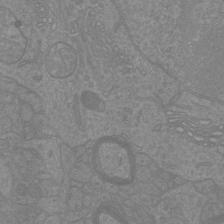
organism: Mouse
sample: Cortical neurons